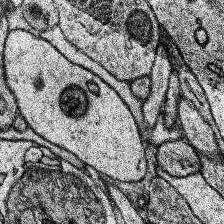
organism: Human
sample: Temporal Lobe